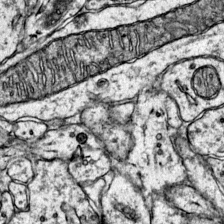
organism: Mouse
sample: Primary visual cortex